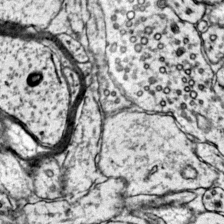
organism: Mouse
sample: Primary visual cortex